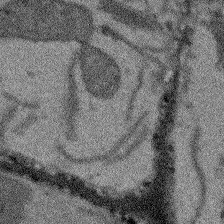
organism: Arabidopsis thaliana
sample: Root tip